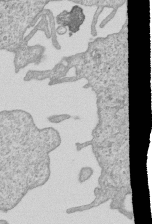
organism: Human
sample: MDA-MB-231 cells